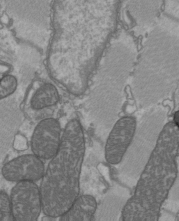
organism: C57BL Mouse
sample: Heart